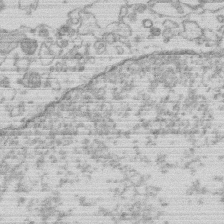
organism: Human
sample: Macrophage cells